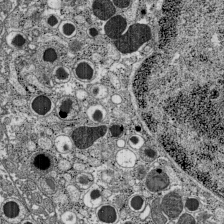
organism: C57BL Mouse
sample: Pancreatic islet